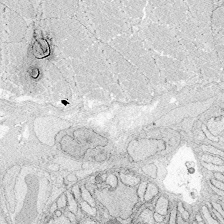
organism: Zebrafish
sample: Whole-Brain